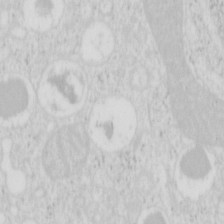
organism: Mouse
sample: Pancreas